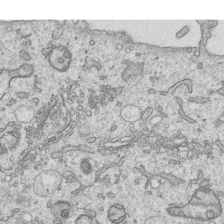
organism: Human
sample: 1205lu cells